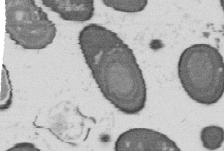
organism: B. subtilis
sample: Bacterial spore